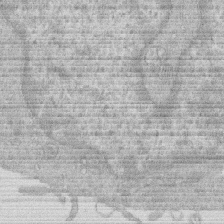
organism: Human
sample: Macrophage cells